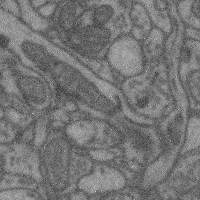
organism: Mouse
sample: Cerebral cortex